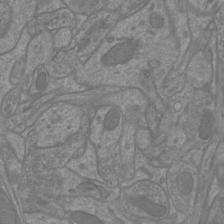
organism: Mouse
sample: Cortical neurons